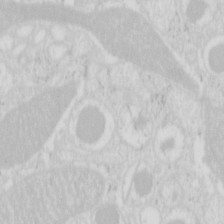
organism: Mouse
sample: Pancreas